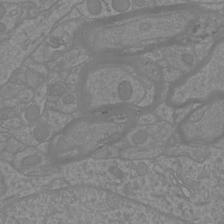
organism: Mouse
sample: Cortical neurons